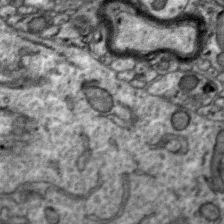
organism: Zebra finch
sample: Brain